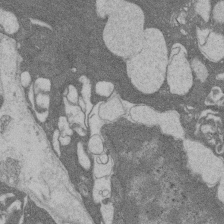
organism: Rat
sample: Salivary granule